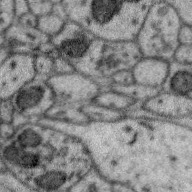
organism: Zebra finch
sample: Brain